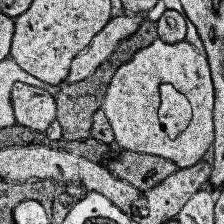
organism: Human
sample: Temporal Lobe